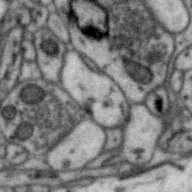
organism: Zebra finch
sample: Brain